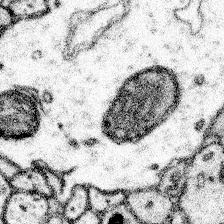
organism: Mouse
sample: Somatosensory cortex neuropil